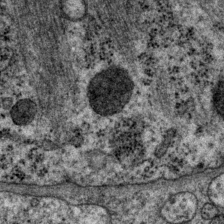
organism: P. pacificus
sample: Pharynx